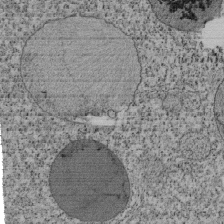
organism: Tetrahymena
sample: Cilia in tetrahymena